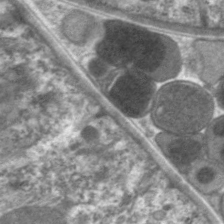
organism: C. elegans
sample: Pharynx